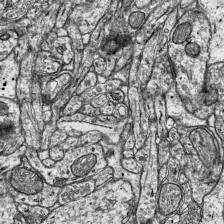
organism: Mouse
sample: Visual Cortex